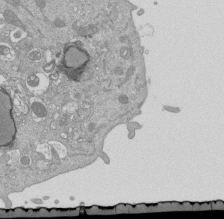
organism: Mouse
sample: ED-1 cell nuclei; centrioles